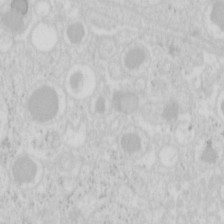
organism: Mouse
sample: Pancreas